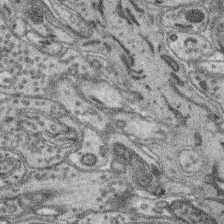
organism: Mouse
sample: Retina